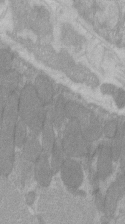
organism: C57BL Mouse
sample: Tibialis anterior muscle cell